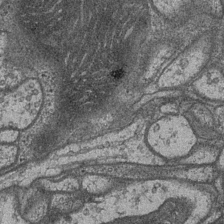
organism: Drosophila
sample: Optic medulla